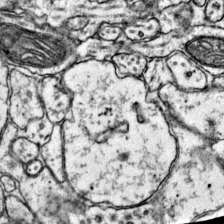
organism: Mouse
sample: Primary visual cortex